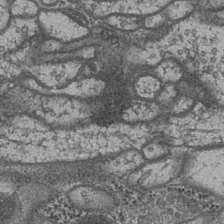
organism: Drosophila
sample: Optic medulla